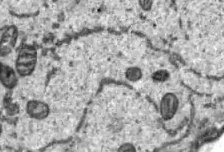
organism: Human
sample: HeLa cells